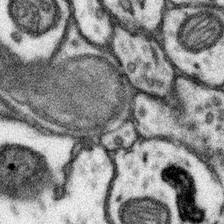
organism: Mouse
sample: Somatosensory cortex neuropil